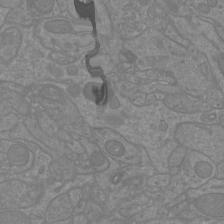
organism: Mouse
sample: Cortical neurons